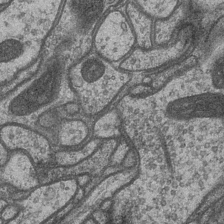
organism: Drosophila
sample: Optic medulla